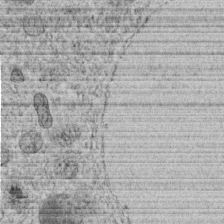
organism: C. elegans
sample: C. elegans embryo early stage